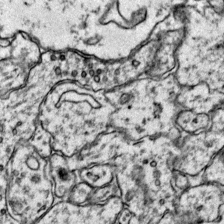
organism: Mouse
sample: Primary visual cortex